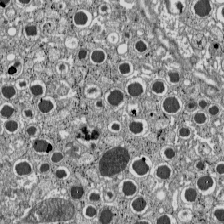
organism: C57BL Mouse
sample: Pancreatic islet